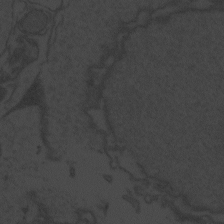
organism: Zebrafish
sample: Macrophage infected with Toxoplasma gondii